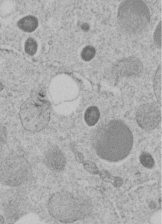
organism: C. elegans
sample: C. elegans embryo early stage